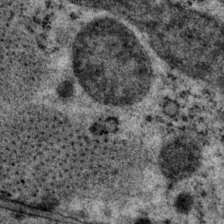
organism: P. pacificus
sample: Pharynx